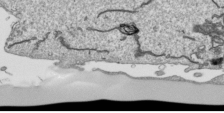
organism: Human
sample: Mitochondria in HCT116 cells